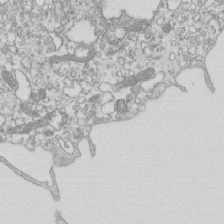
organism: Mouse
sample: Macrophages